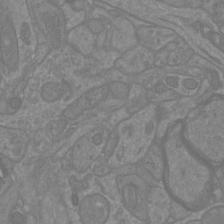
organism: Mouse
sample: Cortical neurons